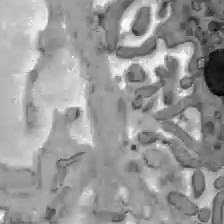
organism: C57BL Mouse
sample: Liver